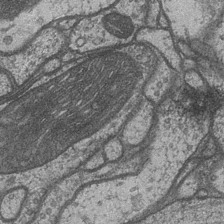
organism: Drosophila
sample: Optic medulla